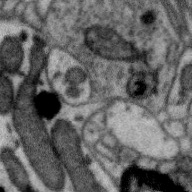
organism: Zebra finch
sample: Brain